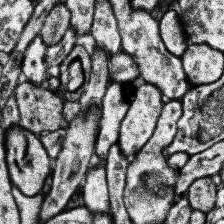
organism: Human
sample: Temporal Lobe